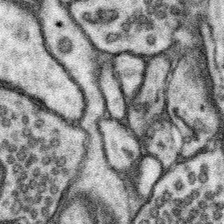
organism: Mouse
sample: Somatosensory cortex neuropil